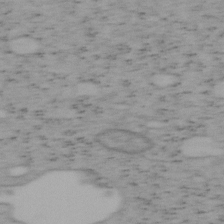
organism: Mouse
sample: OT-I killer T cells with ID8 ovarian cancer cells